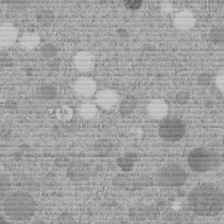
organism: C. elegans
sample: C. elegans embryo early stage